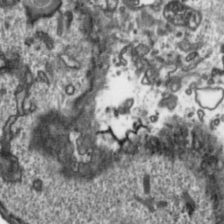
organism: Toxoplasma gondii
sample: Parasites in a vacuole inside a host cell